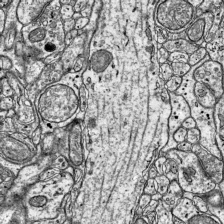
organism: Mouse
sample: Visual Cortex